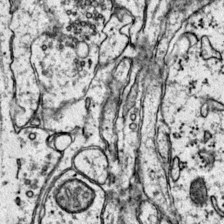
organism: Mouse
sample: Primary visual cortex